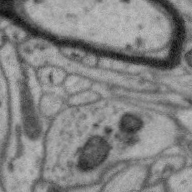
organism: Zebra finch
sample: Brain